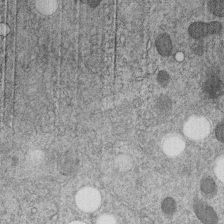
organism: C. elegans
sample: C. elegans embryo early stage